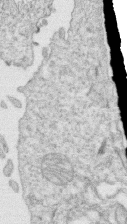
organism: Human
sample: HeLa cell HIV synapse